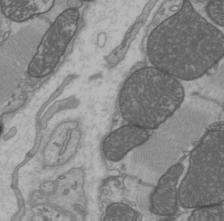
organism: C57BL Mouse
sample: Heart